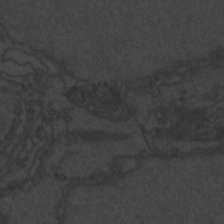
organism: Zebrafish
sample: Macrophage infected with Toxoplasma gondii